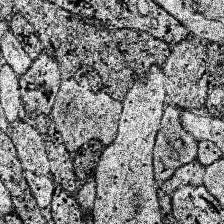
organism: Human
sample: Temporal Lobe